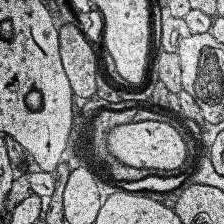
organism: Human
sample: Temporal Lobe